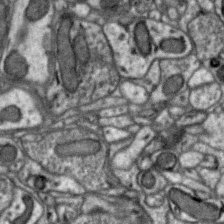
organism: Zebra finch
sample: Brain